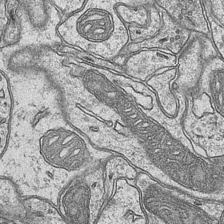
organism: Mouse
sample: CA1 Hippocampus